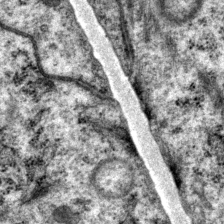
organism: P. pacificus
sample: Pharynx